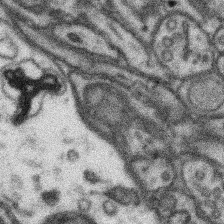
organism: Mouse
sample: Somatosensory cortex neuropil